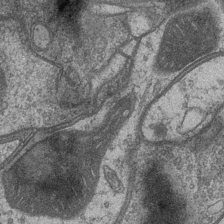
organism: Drosophila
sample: Optic medulla